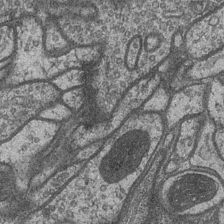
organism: Drosophila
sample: Optic medulla